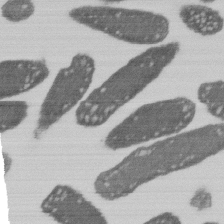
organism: E. coli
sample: Bacterial nucleoid